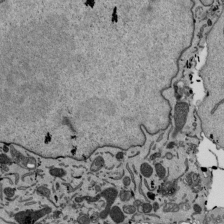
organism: Mouse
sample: ED-1 cell nuclei; centrioles